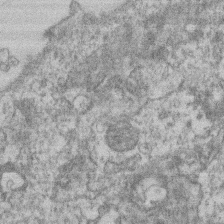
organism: Mouse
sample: T cell stromal cell synapse